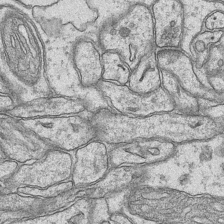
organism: Mouse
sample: CA1 Hippocampus